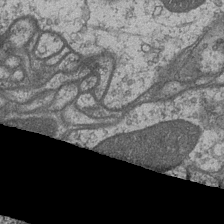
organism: Drosophila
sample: Optic medulla